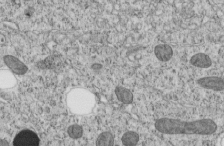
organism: C. elegans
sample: C. elegans embryo early stage